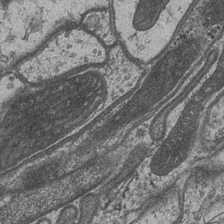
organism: Drosophila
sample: Optic medulla